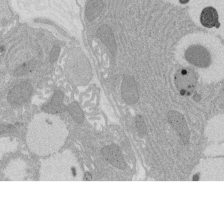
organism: Rat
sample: Salivary granule